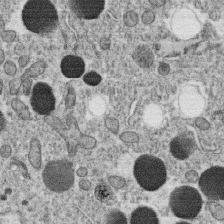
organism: C. elegans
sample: C. elegans oocyte; sperm cells